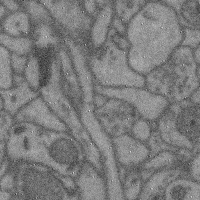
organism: Mouse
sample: Cerebral cortex